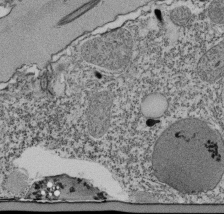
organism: Tetrahymena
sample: Cilia in tetrahymena